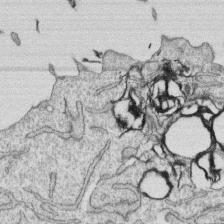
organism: Human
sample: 1205lu cells